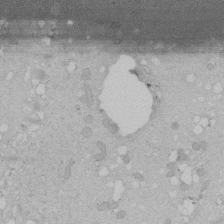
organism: Human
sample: Melanocyte Keratinocyte synapse skin construct